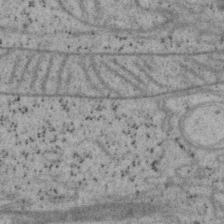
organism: Human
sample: HeLa cells